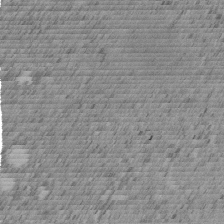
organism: C. elegans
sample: C. elegans embryo early stage